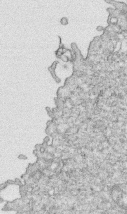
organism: Human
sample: HeLa cell HIV synapse